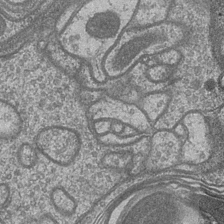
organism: Drosophila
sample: Optic medulla